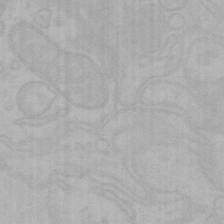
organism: Mouse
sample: Choroid plexus